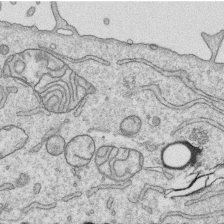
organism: Human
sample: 1205lu cells